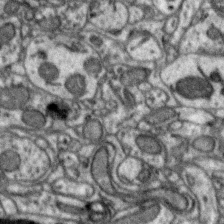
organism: Zebra finch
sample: Brain